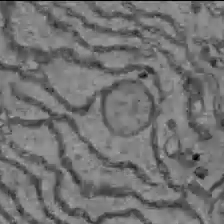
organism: C57BL Mouse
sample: Liver